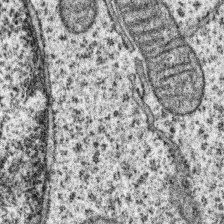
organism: Human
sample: HeLa cells